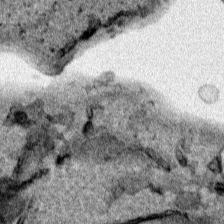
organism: Human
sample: Mitochondria in HCT116 cells